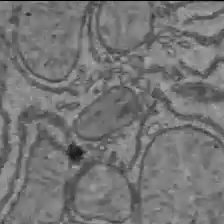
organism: C57BL Mouse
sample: Liver